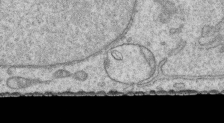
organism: Human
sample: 1205lu cells